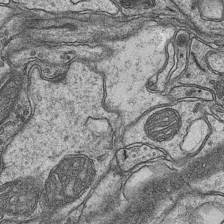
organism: Mouse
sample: CA1 Hippocampus